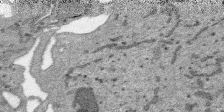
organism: Human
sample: Lung epithelial cells infected with SARS-CoV-2